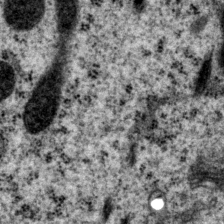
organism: P. pacificus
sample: Pharynx